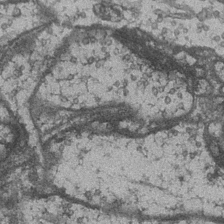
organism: Drosophila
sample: Optic medulla